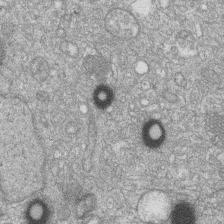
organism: Human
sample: HeLa cell HIV synapse